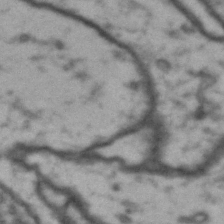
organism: Drosophila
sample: Brain